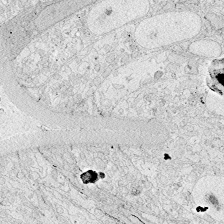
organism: Zebrafish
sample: Whole-Brain